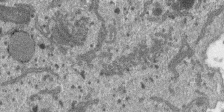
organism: Human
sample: Lung epithelial cells infected with SARS-CoV-2